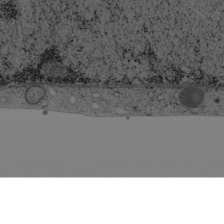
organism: African green monkey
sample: COS-7 cells